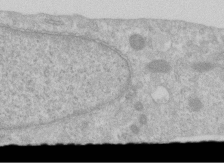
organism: Human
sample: Centriole in RPE cells